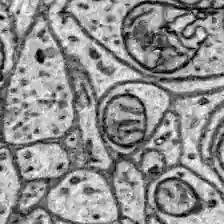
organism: Zebrafish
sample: Brain